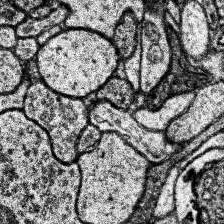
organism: Human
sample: Temporal Lobe